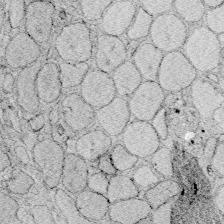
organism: Zebrafish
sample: Whole-Brain